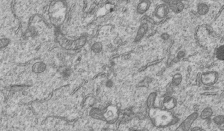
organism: Human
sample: MDA-MB-231 cells